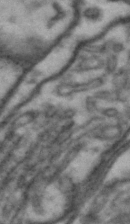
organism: Drosophila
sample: Brain